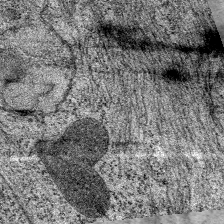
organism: C. elegans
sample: Pharynx